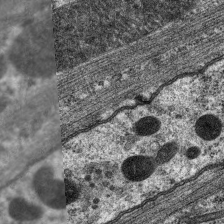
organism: C. elegans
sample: Pharynx